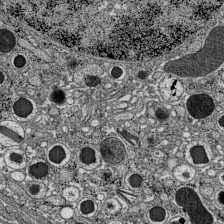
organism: C57BL Mouse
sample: Pancreatic islet